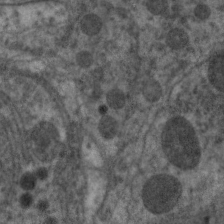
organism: C. elegans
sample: Pharynx